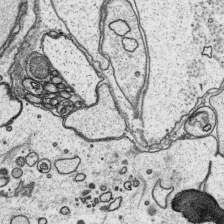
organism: Platynereis dumerilii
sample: Parapodia